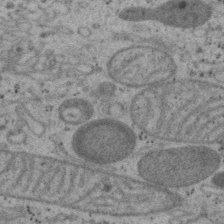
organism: Human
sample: HeLa cells